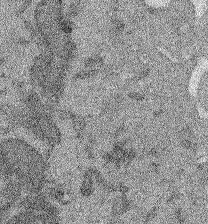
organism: Human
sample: HeLa cells